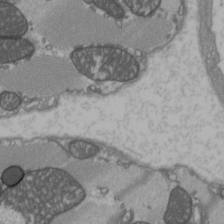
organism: C57BL Mouse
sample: Heart